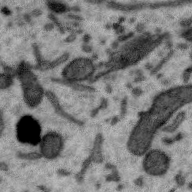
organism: Zebra finch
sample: Brain